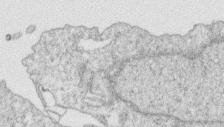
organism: Human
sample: HeLa cell HIV synapse